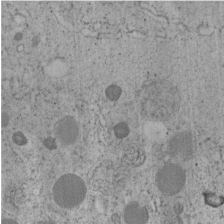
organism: C. elegans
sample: C. elegans embryo early stage